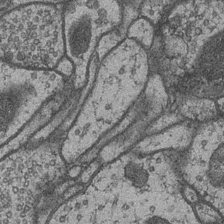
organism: Drosophila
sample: Optic medulla